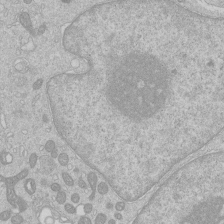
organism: Human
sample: Macrophage cells